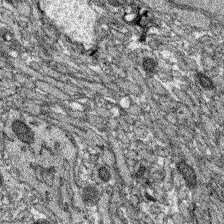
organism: Zebrafish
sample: Larval olfactory bulb